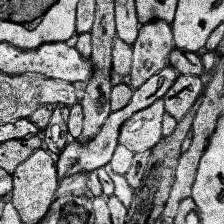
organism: Human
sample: Temporal Lobe